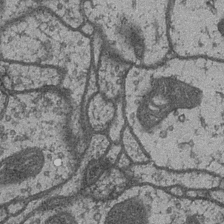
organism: Drosophila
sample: Optic medulla